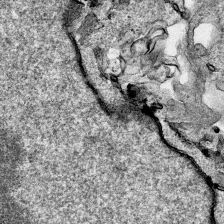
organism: Human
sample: Mitochondria in HCT116 cells